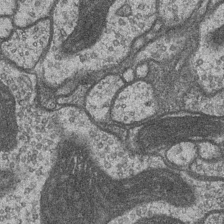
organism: Drosophila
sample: Optic medulla